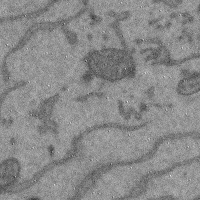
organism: Mouse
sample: Cerebral cortex